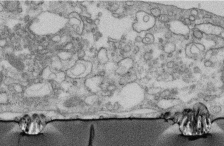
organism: Human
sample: Centriole in fibroblast cells